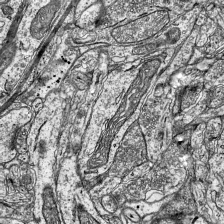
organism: Mouse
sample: Visual Cortex